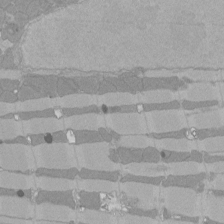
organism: Rat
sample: Left ventricle